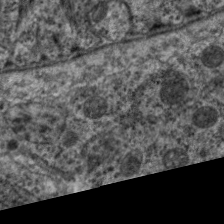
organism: C. elegans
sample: Pharynx